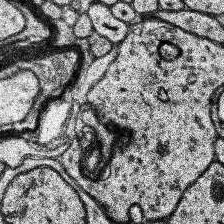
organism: Human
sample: Temporal Lobe